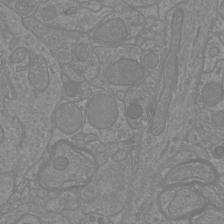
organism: Mouse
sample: Cortical neurons